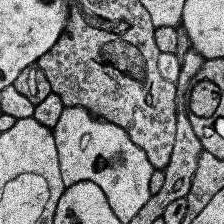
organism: Human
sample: Temporal Lobe